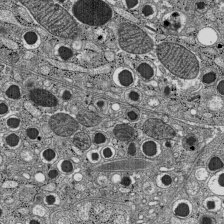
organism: C57BL Mouse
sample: Pancreatic islet